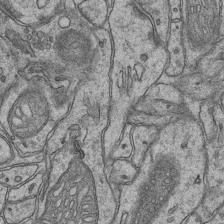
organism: Mouse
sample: CA1 Hippocampus